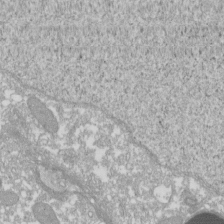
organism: Xenopus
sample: Cilia; centrioles in frog embryo cells